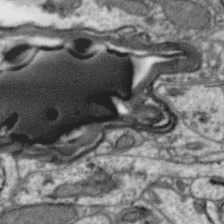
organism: Zebra finch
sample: Brain